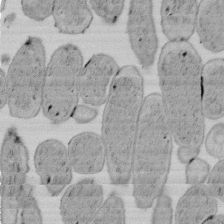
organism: E. coli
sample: Bacterial nucleoid